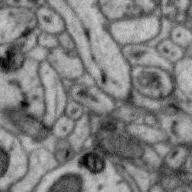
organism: Zebra finch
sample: Brain